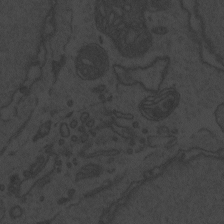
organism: Zebrafish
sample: Macrophage infected with Toxoplasma gondii